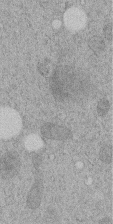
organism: C. elegans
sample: C. elegans embryo early stage